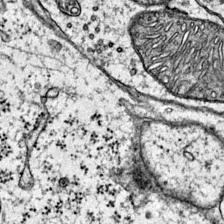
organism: Mouse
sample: Primary visual cortex